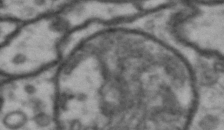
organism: Drosophila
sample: Brain